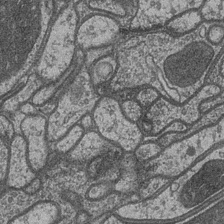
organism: Drosophila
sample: Optic medulla